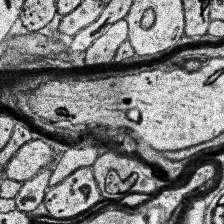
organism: Human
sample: Temporal Lobe